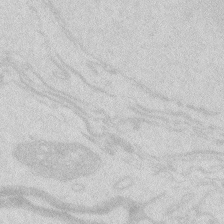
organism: Zebrafish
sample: Macrophage